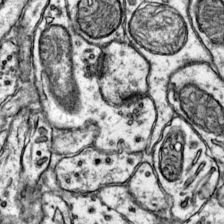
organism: Mouse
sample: Primary visual cortex